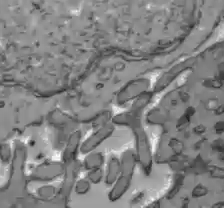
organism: C57BL Mouse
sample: Liver